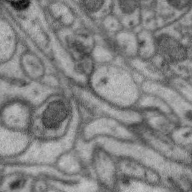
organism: Zebra finch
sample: Brain